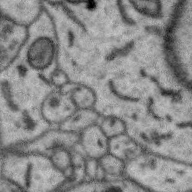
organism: Zebra finch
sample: Brain